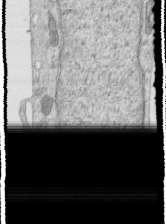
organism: Human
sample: Centriole in RPE cells